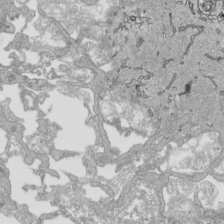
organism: Human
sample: Mitochondria in HCT116 cells